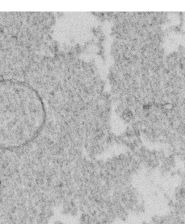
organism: C. elegans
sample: C. elegans oocyte; sperm cells